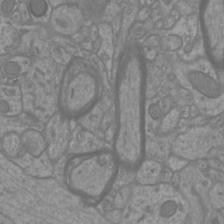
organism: Mouse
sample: Cortical neurons